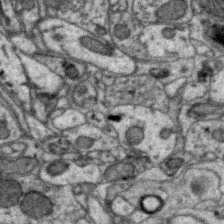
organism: Zebra finch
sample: Brain